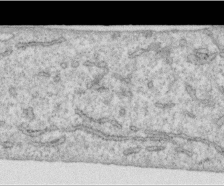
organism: Human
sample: Centriole in RPE cells